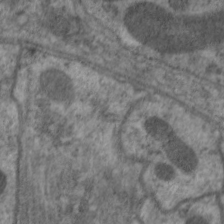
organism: C. elegans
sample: Pharynx